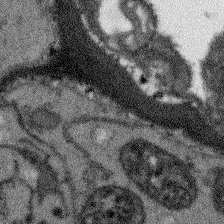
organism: Arabidopsis thaliana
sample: Root tip